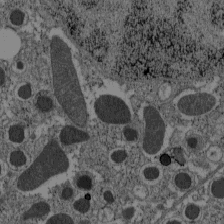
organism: C57BL Mouse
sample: Pancreatic islet